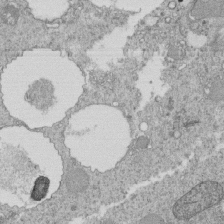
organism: Tetrahymena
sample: Cilia in tetrahymena